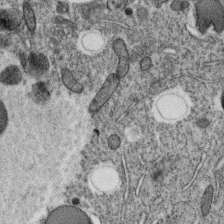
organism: C. elegans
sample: C. elegans oocyte; sperm cells